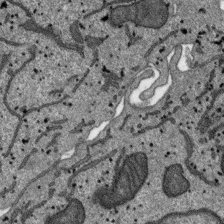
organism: Human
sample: Lung epithelial cells, uninfected (mock) control